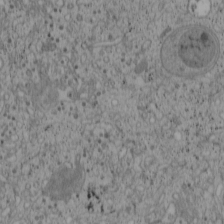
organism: African green monkey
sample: COS-7 cells